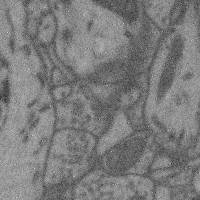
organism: Mouse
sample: Cerebral cortex